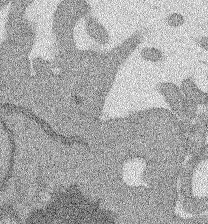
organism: Human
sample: HeLa cells